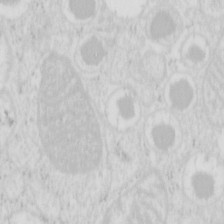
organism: Mouse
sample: Pancreas